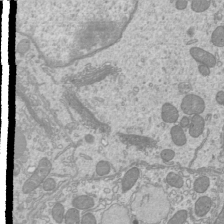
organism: Mouse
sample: Cilia; mouse epididymis